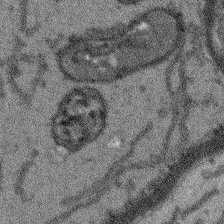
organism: Arabidopsis thaliana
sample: Root tip